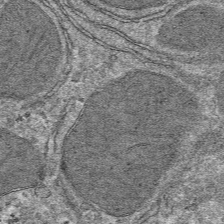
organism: Mouse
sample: Mouse hepatocytes